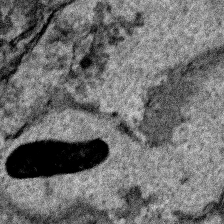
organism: Human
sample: Mitochondria in HCT116 cells